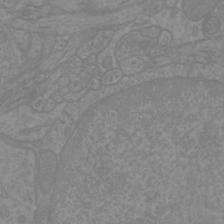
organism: Mouse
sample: Cortical neurons